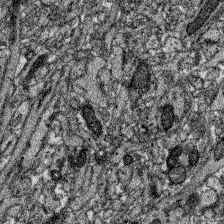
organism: Zebrafish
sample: Larval olfactory bulb